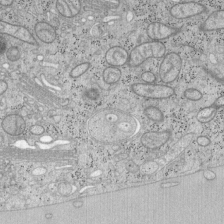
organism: Mouse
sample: OT-I killer T cells with ID8 ovarian cancer cells